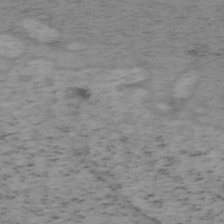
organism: Mouse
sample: OT-I killer T cells with ID8 ovarian cancer cells